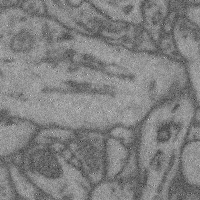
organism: Mouse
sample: Cerebral cortex